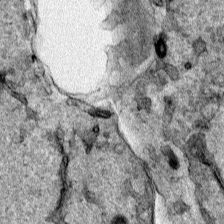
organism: Human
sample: Mitochondria in HCT116 cells